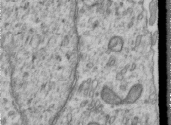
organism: Human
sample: Centriole in RPE cells